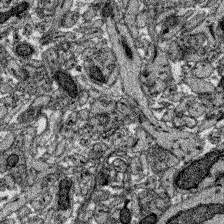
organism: Zebrafish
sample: Larval olfactory bulb